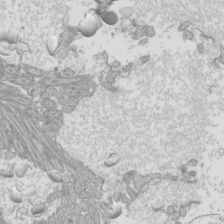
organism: Mouse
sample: Cilia; mouse epididymis